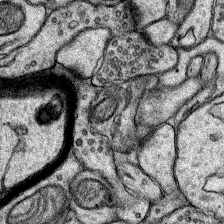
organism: Rat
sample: Hippocampus